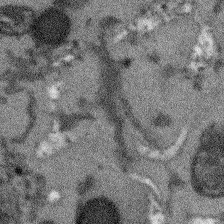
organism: Arabidopsis thaliana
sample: Root tip